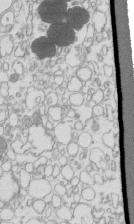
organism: Mouse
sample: Macrophages